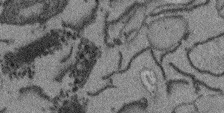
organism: Arabidopsis thaliana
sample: Root tip